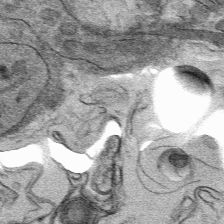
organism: Mouse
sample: Mouse hepatocytes